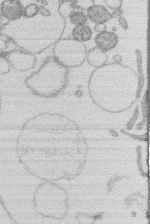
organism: Human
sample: Macrophage cells